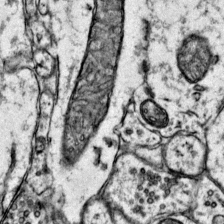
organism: Mouse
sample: Primary visual cortex